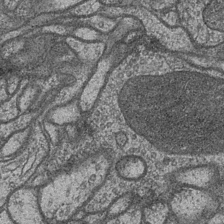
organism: Drosophila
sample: Optic medulla